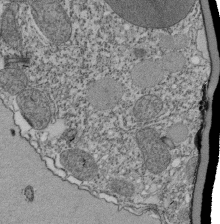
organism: Tetrahymena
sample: Cilia in tetrahymena